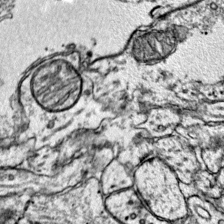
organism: Mouse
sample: Primary visual cortex